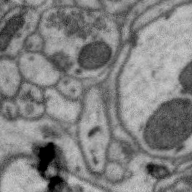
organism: Zebra finch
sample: Brain